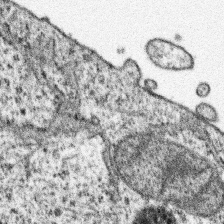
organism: Human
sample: HeLa cells